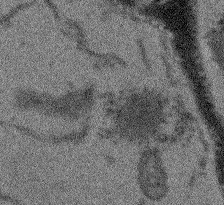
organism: Arabidopsis thaliana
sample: Root tip